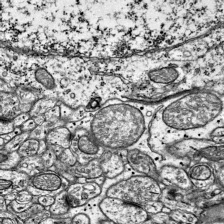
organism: Mouse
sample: Visual Cortex